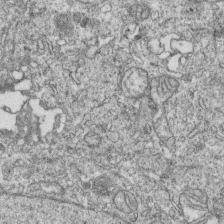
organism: Human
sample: HeLa cell HIV synapse